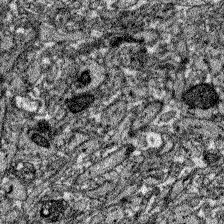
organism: Zebrafish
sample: Larval olfactory bulb